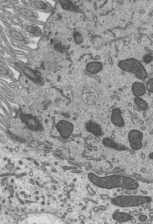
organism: Mouse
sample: Mouse epididymis efferent ductule cilia